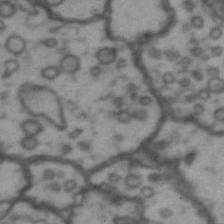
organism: Drosophila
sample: Brain